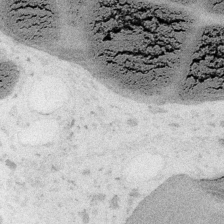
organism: Embia sp.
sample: Silk gland